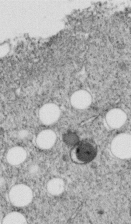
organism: C. elegans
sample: C. elegans embryo early stage